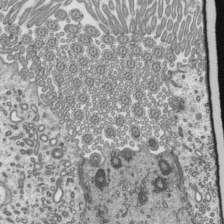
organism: Mouse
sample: Mouse epididymis efferent ductule cilia